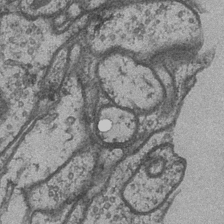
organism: Drosophila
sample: Optic medulla